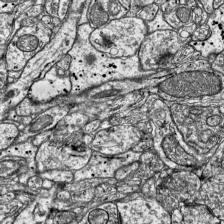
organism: Mouse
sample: Visual Cortex